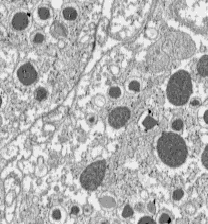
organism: C57BL Mouse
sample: Pancreatic islet